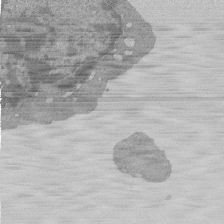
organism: Mouse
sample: Activated Pmel transgenic CD8+ T Cells